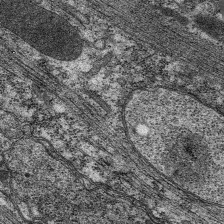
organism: C. elegans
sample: Pharynx